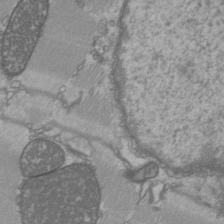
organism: C57BL Mouse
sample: Heart